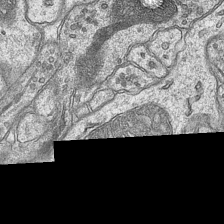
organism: Mouse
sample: CA1 Hippocampus